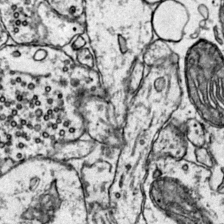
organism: Mouse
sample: Primary visual cortex